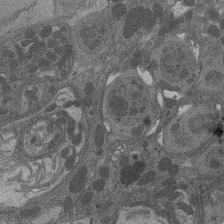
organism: Drosophila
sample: Antenna